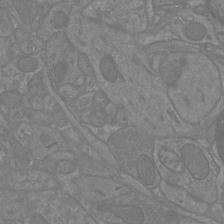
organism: Mouse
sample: Cortical neurons